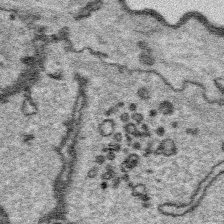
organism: Platynereis dumerilii